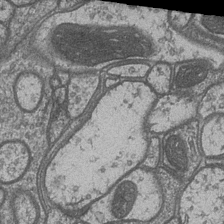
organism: Drosophila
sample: Optic medulla